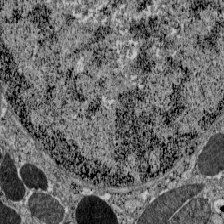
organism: C57BL Mouse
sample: Pancreatic islet